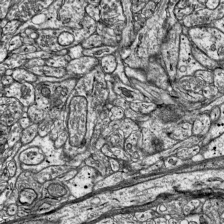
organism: Mouse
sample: Visual Cortex